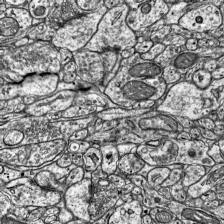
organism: Mouse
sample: Visual Cortex